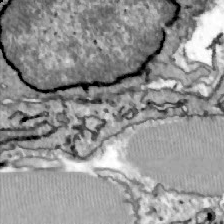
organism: Zebrafish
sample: Actinotrichia fibers